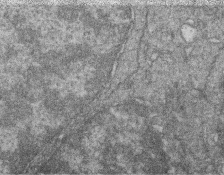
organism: Zebrafish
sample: Cilia; retinal pigment epithelium